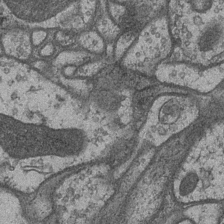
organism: Drosophila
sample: Optic medulla